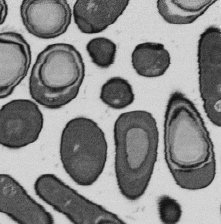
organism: B. subtilis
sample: Bacterial spore